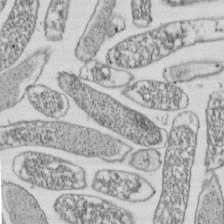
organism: E. coli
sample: Bacterial nucleoid